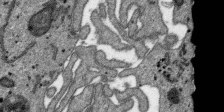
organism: Human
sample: Lung epithelial cells, uninfected (mock) control